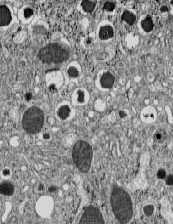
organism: C57BL Mouse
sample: Pancreatic islet